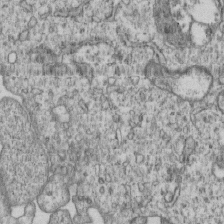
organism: Human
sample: MDA-MB-231 cells